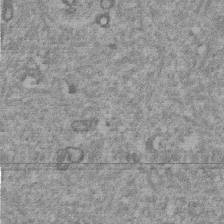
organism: Mouse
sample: Dividing mouse embryo 1 cell stage